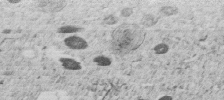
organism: C. elegans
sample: C. elegans embryo early stage